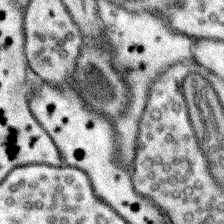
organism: Mouse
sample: Somatosensory cortex neuropil